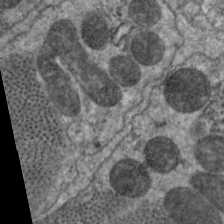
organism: C. elegans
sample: Pharynx